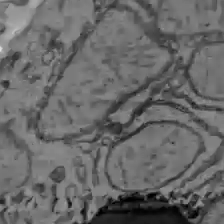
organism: C57BL Mouse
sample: Liver